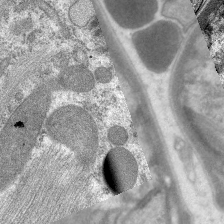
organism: C. elegans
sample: Pharynx